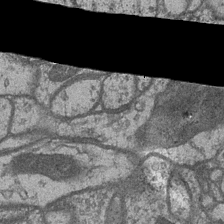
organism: Drosophila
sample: Optic medulla